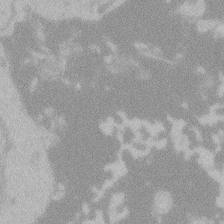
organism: Zebrafish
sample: Macrophage infected with Toxoplasma gondii